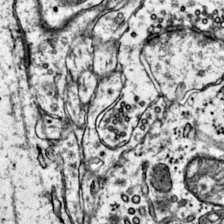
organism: Mouse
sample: Primary visual cortex